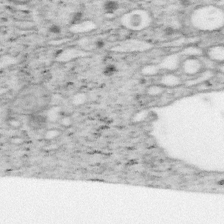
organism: Mouse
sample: OT-I killer T cells with ID8 ovarian cancer cells